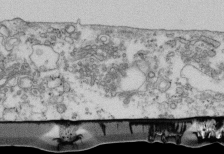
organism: Mouse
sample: Cilia; retinal pigment epithelium